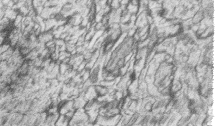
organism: Zebrafish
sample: synaptic ribbons in rod cells and cone cells